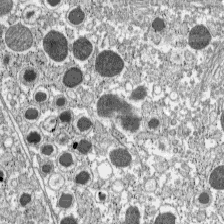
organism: C57BL Mouse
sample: Pancreatic islet